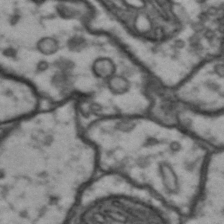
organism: Drosophila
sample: Brain